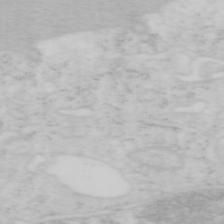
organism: Mouse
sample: OT-I killer T cells with ID8 ovarian cancer cells